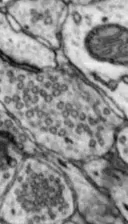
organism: Mouse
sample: Nucleus accumbens